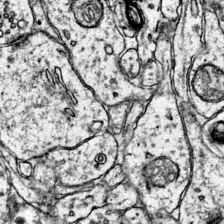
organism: Mouse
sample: Primary visual cortex